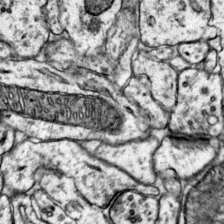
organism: Mouse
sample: Primary visual cortex